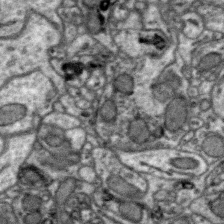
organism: Zebra finch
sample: Brain